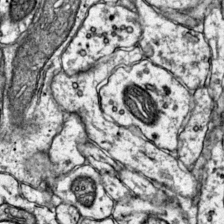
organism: Mouse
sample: Primary visual cortex